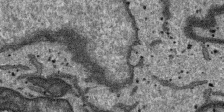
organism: Human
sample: Lung epithelial cells, uninfected (mock) control